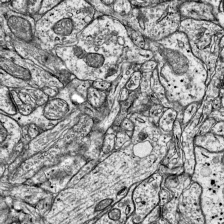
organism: Mouse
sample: Visual Cortex